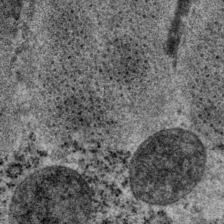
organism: P. pacificus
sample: Pharynx